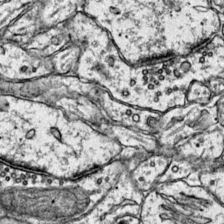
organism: Mouse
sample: Primary visual cortex